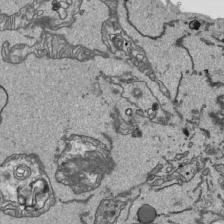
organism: Human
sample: Mitochondria in HCT116 cells